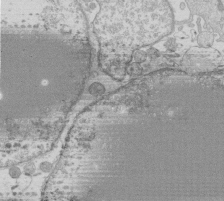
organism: Human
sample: Macrophage cells